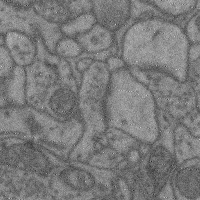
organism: Mouse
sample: Cerebral cortex